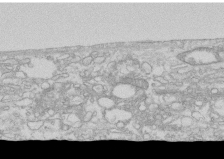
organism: Human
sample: CRL-1474